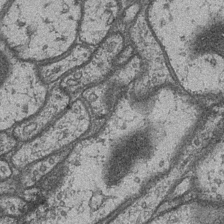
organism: Drosophila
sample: Optic medulla